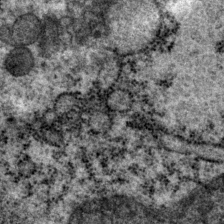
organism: P. pacificus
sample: Pharynx